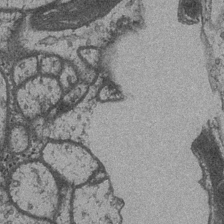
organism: Drosophila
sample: Optic medulla